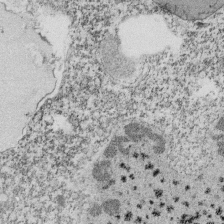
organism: Tetrahymena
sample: Cilia in tetrahymena